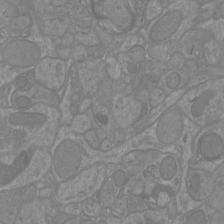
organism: Mouse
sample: Cortical neurons